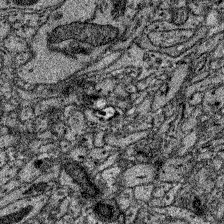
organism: Zebrafish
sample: Larval olfactory bulb